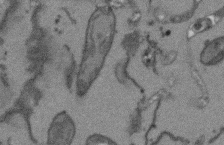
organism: Arabidopsis thaliana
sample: Root tip